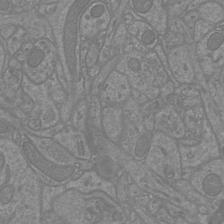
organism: Mouse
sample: Cortical neurons